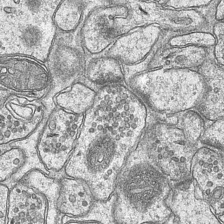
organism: Mouse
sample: CA1 Hippocampus